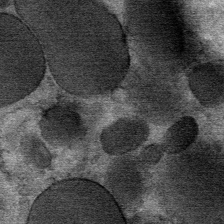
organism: Mouse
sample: Mouse Salivary gland